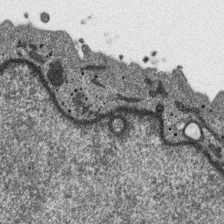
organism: Human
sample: Lung epithelial cells infected with SARS-CoV-2